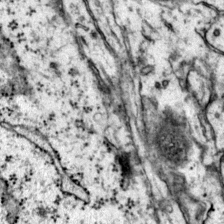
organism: Mouse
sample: Primary visual cortex